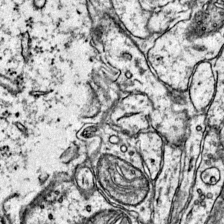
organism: Mouse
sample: Primary visual cortex